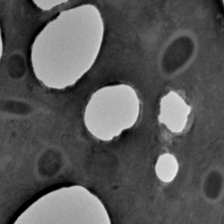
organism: C. elegans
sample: C. elegans embryo